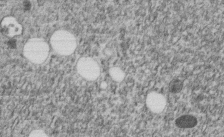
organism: C. elegans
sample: C. elegans embryo early stage